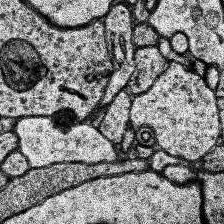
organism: Human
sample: Temporal Lobe